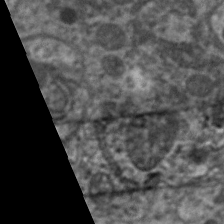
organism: C. elegans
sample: Pharynx